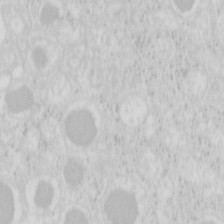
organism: Mouse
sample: Pancreas